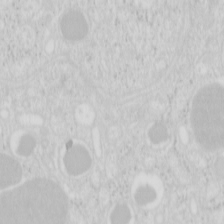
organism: Mouse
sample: Pancreas